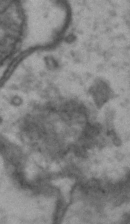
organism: Drosophila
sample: Brain